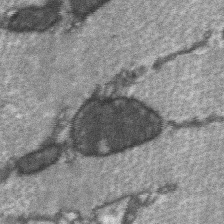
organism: C57BL Mouse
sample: Soleus